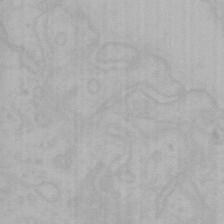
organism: Mouse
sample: Choroid plexus